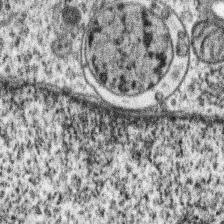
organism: Human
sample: HeLa cells